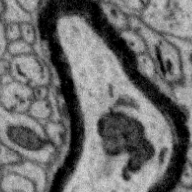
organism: Zebra finch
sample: Brain